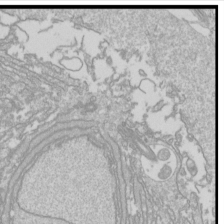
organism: Drosophila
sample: Cell division; meiosis; drosophila spermatocytes